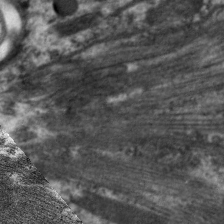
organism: C. elegans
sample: Pharynx